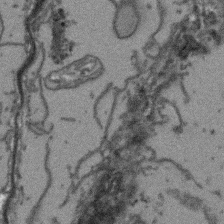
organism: Arabidopsis thaliana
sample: Root tip